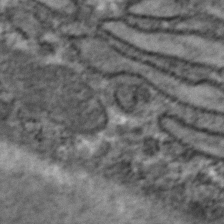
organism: Zebrafish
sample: Zebrafish embryo